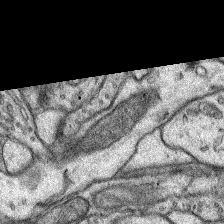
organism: Rat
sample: Hippocampus